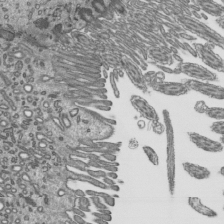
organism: Mouse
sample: Mouse epididymis efferent ductule cilia